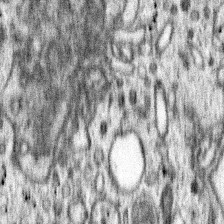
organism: Human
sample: HeLa cells